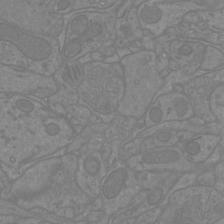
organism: Mouse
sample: Cortical neurons